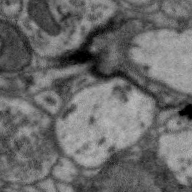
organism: Zebra finch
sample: Brain